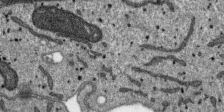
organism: Human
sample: Lung epithelial cells, uninfected (mock) control